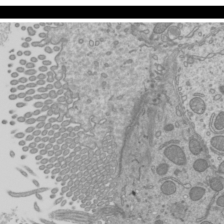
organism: Mouse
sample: Cilia; mouse epididymis